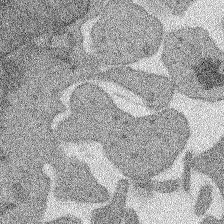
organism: Human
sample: HeLa cells